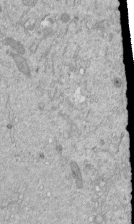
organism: Mouse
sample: ED-1 cell nuclei; centrioles